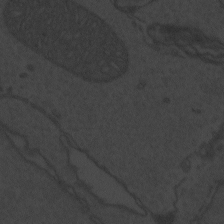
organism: Zebrafish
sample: Macrophage infected with Toxoplasma gondii